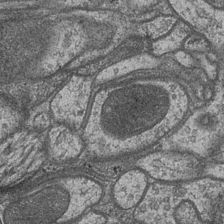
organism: Drosophila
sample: Optic medulla